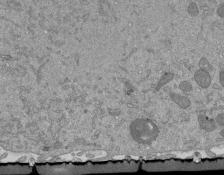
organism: Mouse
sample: ED-1 cell nuclei; centrioles